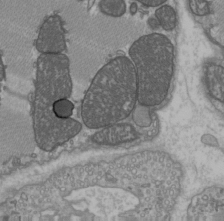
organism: C57BL Mouse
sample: Heart